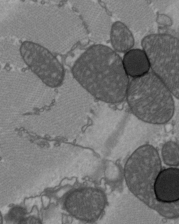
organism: C57BL Mouse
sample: Heart